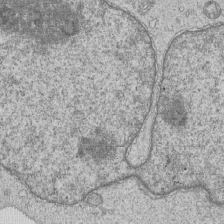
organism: Human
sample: MDA-MB-231 cells